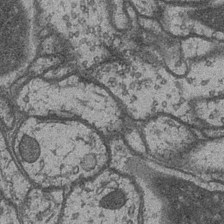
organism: Drosophila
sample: Optic medulla